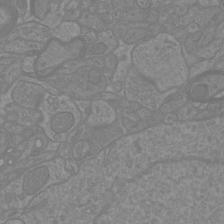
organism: Mouse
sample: Cortical neurons